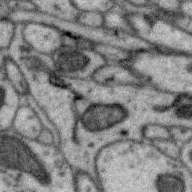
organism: Zebra finch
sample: Brain